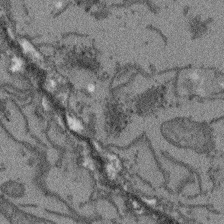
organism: Arabidopsis thaliana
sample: Root tip